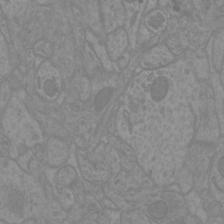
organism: Mouse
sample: Cortical neurons